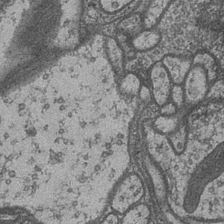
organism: Drosophila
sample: Optic medulla